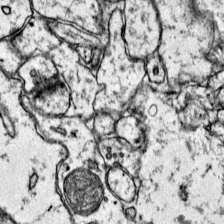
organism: Mouse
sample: Primary visual cortex